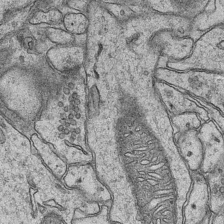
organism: Mouse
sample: CA1 Hippocampus